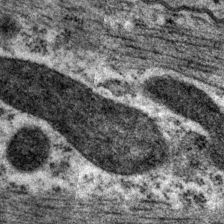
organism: P. pacificus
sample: Pharynx